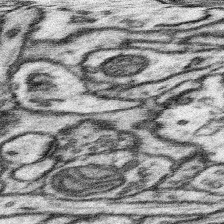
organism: Mouse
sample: Somatosensory cortex neuropil